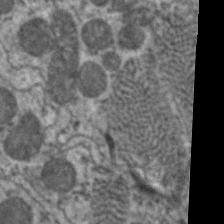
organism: C. elegans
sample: Pharynx